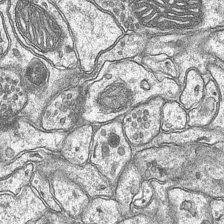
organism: Mouse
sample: CA1 Hippocampus